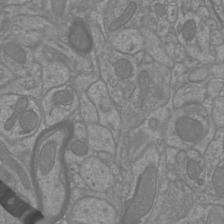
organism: Mouse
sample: Cortical neurons